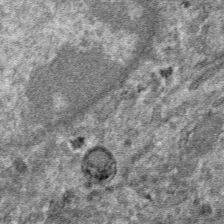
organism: Mouse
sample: Mouse hepatocytes